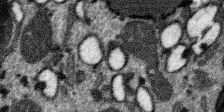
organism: Human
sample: Lung epithelial cells infected with SARS-CoV-2